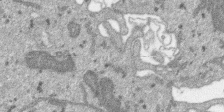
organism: Human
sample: Lung epithelial cells infected with SARS-CoV-2